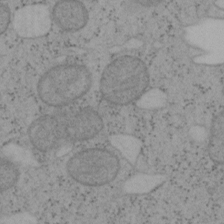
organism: Mouse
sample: OT-I killer T cells with ID8 ovarian cancer cells